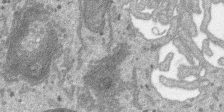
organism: Human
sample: Lung epithelial cells infected with SARS-CoV-2